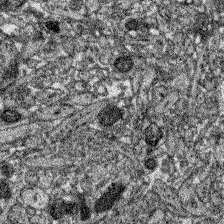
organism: Zebrafish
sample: Larval olfactory bulb